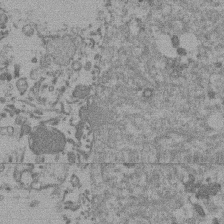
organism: Mouse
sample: Dividing mouse embryo 1 cell stage